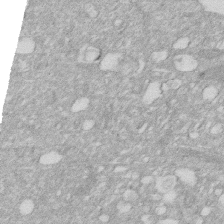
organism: Human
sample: HIV infected U937 cells